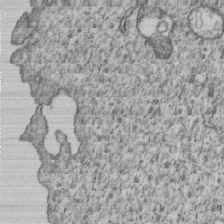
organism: Human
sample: MDA-MB-231 cells